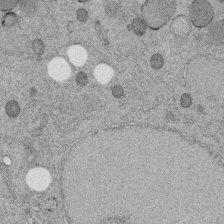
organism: C. elegans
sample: C. elegans embryo early stage